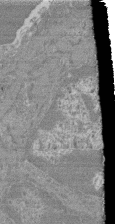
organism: Mouse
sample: Glomerulus